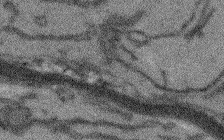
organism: Arabidopsis thaliana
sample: Root tip